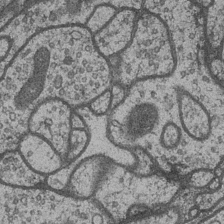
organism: Drosophila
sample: Optic medulla